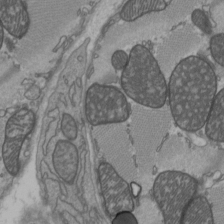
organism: C57BL Mouse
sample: Heart